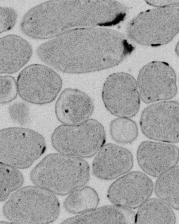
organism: E. coli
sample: Bacterial nucleoid